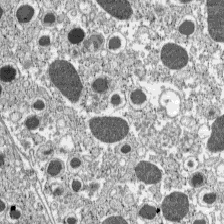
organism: C57BL Mouse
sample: Pancreatic islet